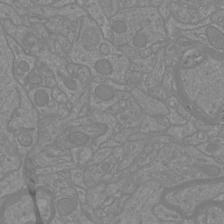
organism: Mouse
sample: Cortical neurons